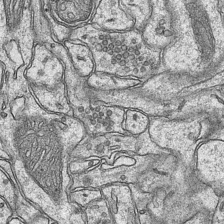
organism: Mouse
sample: CA1 Hippocampus